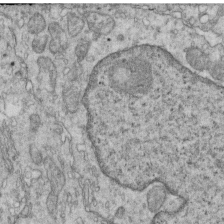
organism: Mouse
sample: Multiciliated cells